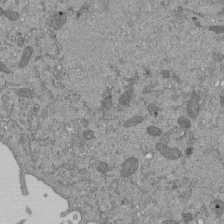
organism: Mouse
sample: ED-1 cell nuclei; centrioles